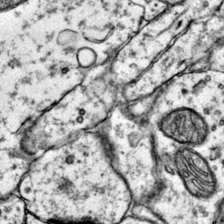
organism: Mouse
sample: Primary visual cortex